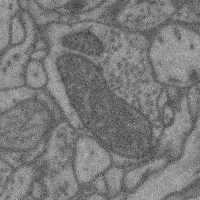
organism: Mouse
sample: Cerebral cortex